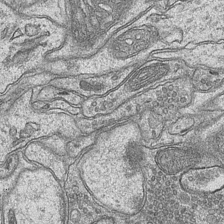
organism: Mouse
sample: CA1 Hippocampus